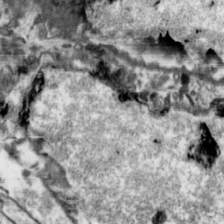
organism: Toxoplasma gondii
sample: Parasites in a vacuole inside a host cell